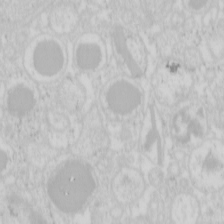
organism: Mouse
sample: Pancreas